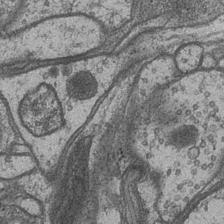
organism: Drosophila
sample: Optic medulla